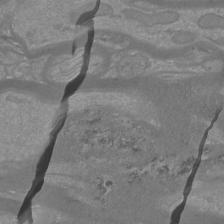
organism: Mouse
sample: Cortical neurons